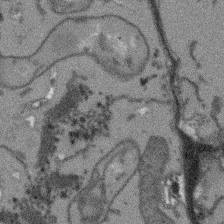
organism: Arabidopsis thaliana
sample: Root tip